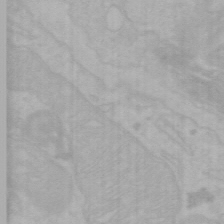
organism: Mouse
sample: Choroid plexus